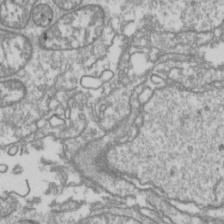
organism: Drosophila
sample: Cell division; meiosis; drosophila spermatocytes